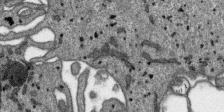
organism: Human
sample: Lung epithelial cells, uninfected (mock) control